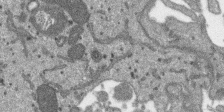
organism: Human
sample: Lung epithelial cells infected with SARS-CoV-2